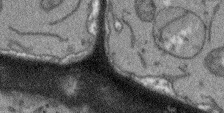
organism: Arabidopsis thaliana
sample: Root tip